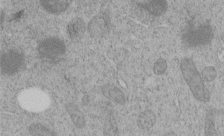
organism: C. elegans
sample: C. elegans embryo early stage